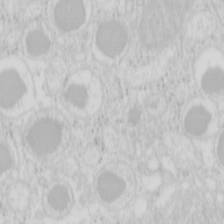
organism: Mouse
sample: Pancreas